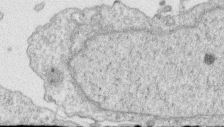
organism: Human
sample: HeLa cell HIV synapse